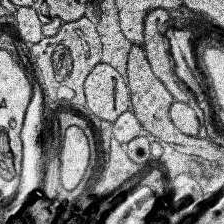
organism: Human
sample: Temporal Lobe